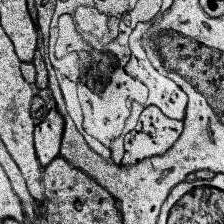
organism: Human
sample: Temporal Lobe